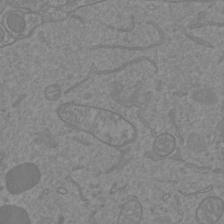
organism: Mouse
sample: Cortical neurons